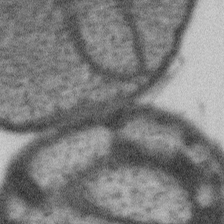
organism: Gemmata obscuriglobus